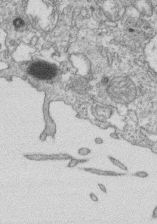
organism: Human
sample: HeLa cell HIV synapse